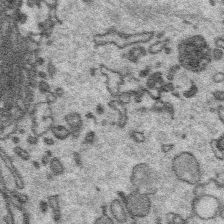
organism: Platynereis dumerilii